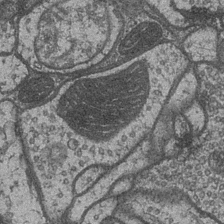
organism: Drosophila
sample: Optic medulla